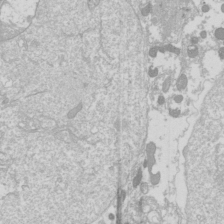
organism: Drosophila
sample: Cell division; meiosis; drosophila spermatocytes